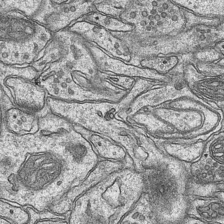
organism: Mouse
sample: CA1 Hippocampus